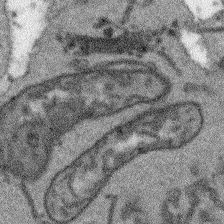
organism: Arabidopsis thaliana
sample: Root tip